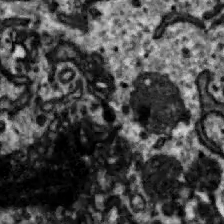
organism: Human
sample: HeLa cells